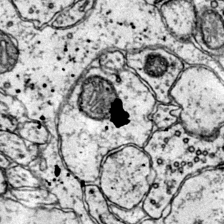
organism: Mouse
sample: Primary visual cortex